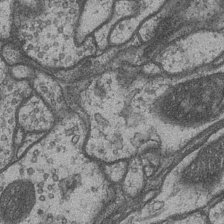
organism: Drosophila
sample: Optic medulla